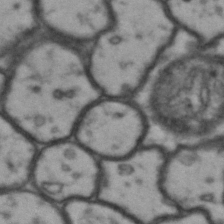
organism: Drosophila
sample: Brain